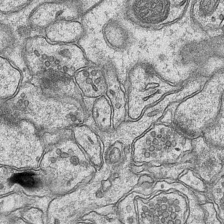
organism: Mouse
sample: CA1 Hippocampus